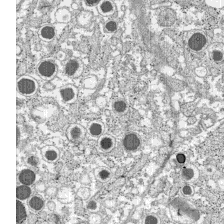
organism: C57BL Mouse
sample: Pancreatic islet